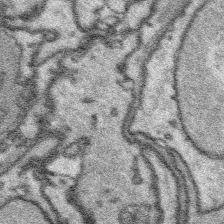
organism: Platynereis dumerilii